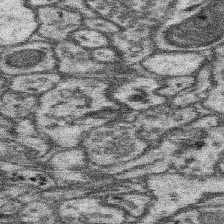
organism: Mouse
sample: Somatosensory cortex neuropil